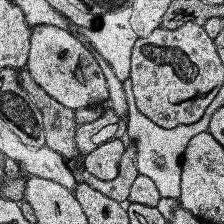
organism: Human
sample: Temporal Lobe